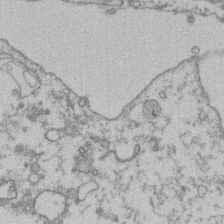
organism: Mouse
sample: T cell stromal cell synapse